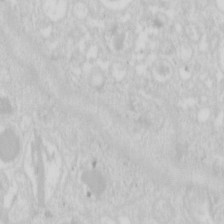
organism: Mouse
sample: Pancreas